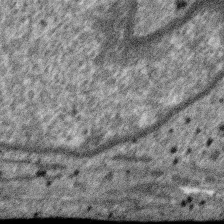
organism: Human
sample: Lung epithelial cells infected with SARS-CoV-2